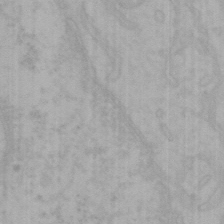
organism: Mouse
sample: Choroid plexus